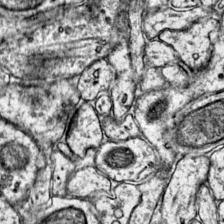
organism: Mouse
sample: Primary visual cortex